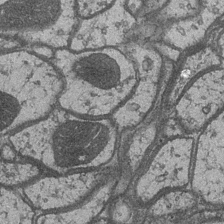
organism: Drosophila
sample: Optic medulla